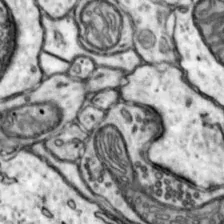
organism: Mouse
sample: Nucleus accumbens